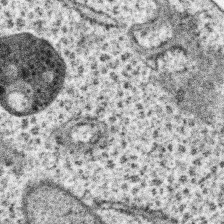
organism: Human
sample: HeLa cells